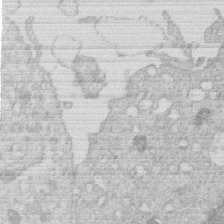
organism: Human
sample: Macrophage cells